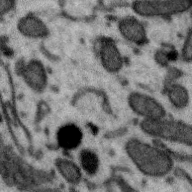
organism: Zebra finch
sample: Brain